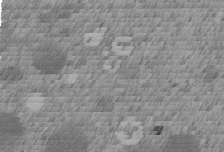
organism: C. elegans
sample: C. elegans embryo early stage